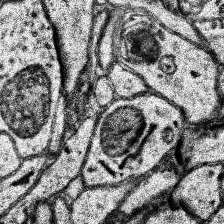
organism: Human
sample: Temporal Lobe